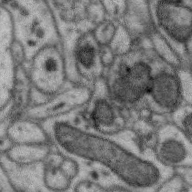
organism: Zebra finch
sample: Brain